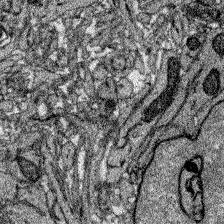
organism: Zebrafish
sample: Larval olfactory bulb